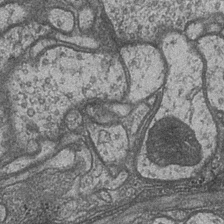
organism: Drosophila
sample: Optic medulla